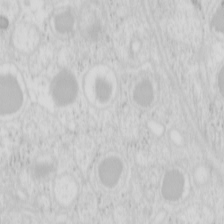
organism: Mouse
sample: Pancreas